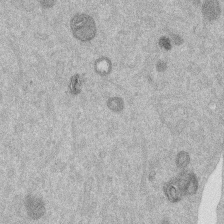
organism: Mouse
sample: Dividing mouse embryo 1 cell stage